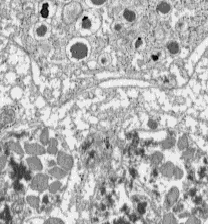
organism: C57BL Mouse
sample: Pancreatic islet